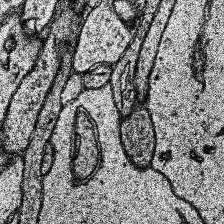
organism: Human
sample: Temporal Lobe